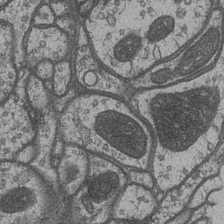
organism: Drosophila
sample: Optic medulla